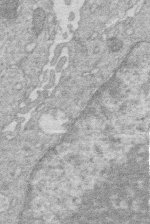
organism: Human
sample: Macrophage cells